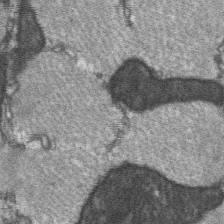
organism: C57BL Mouse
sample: Soleus